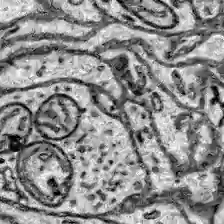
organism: Zebrafish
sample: Brain